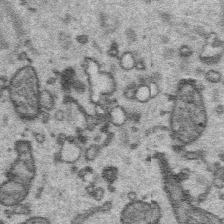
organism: Platynereis dumerilii